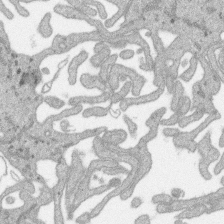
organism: Human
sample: Lung epithelial cells infected with SARS-CoV-2